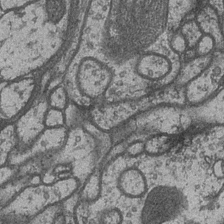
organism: Drosophila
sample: Optic medulla